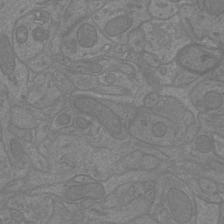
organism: Mouse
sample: Cortical neurons